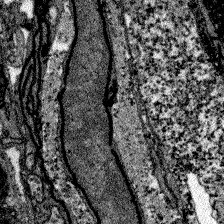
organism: Zebrafish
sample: Larval olfactory bulb